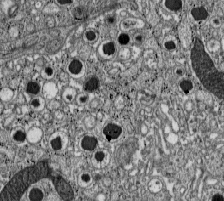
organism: C57BL Mouse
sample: Pancreatic islet